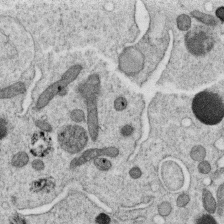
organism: C. elegans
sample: C. elegans oocyte; sperm cells